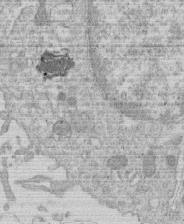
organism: Human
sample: Macrophage cells